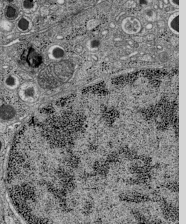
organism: C57BL Mouse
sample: Pancreatic islet